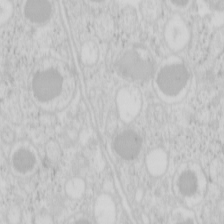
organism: Mouse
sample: Pancreas